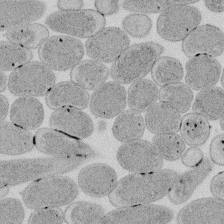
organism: E. coli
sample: Bacterial nucleoid